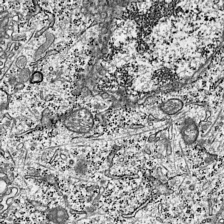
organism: Mouse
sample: Visual Cortex